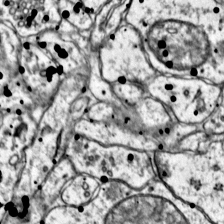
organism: Mouse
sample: Primary visual cortex